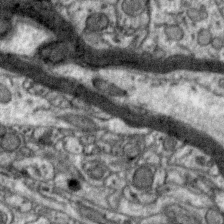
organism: Zebra finch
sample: Brain